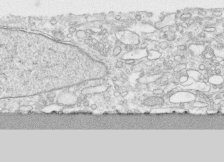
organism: Human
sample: CRL-1474